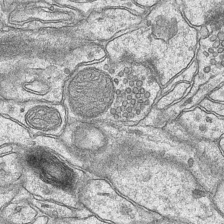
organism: Mouse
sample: CA1 Hippocampus